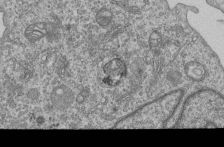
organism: Human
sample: MDA-MB-231 cells